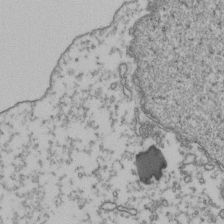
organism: Human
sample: Activated Jurkat CD4+ T cells